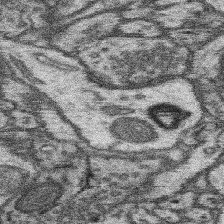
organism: Mouse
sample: Somatosensory cortex neuropil